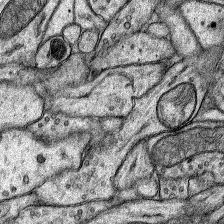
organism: Rat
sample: Hippocampus